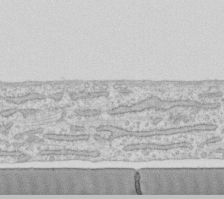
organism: Human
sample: Fibroblast cells